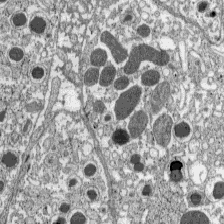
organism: C57BL Mouse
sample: Pancreatic islet